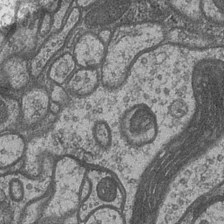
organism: Drosophila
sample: Optic medulla